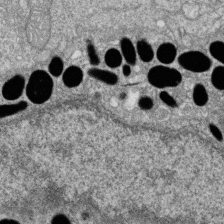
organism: Zebrafish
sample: Cilia; retinal pigment epithelium